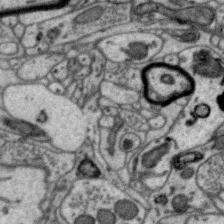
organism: Zebra finch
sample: Brain